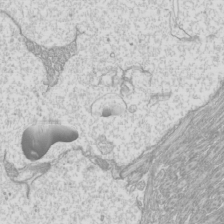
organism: Mouse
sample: Cilia; mouse epididymis